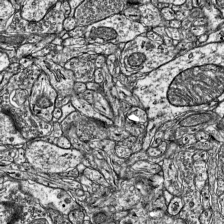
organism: Mouse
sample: Visual Cortex